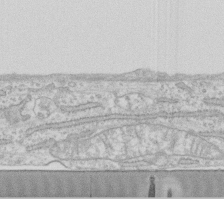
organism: Human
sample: Fibroblast cells